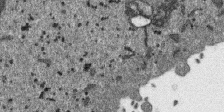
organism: Human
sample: Lung epithelial cells infected with SARS-CoV-2